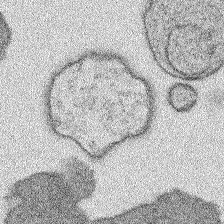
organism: Human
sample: HeLa cells